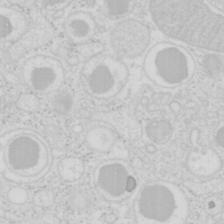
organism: Mouse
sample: Pancreas